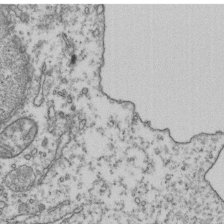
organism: Human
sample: Activated Jurkat CD4+ T cells